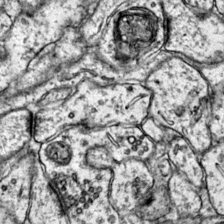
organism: Mouse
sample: Primary visual cortex